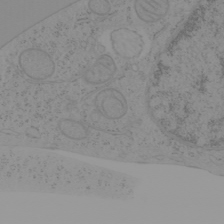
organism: Human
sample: HeLa cells